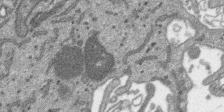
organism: Human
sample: Lung epithelial cells infected with SARS-CoV-2